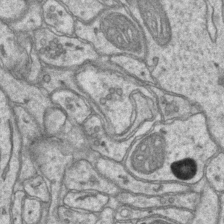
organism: Mouse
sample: CA1 Hippocampus